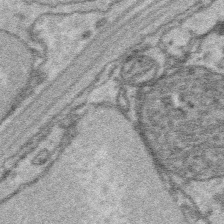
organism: Platynereis dumerilii